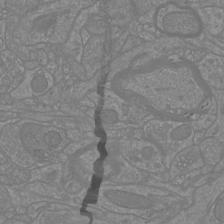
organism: Mouse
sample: Cortical neurons